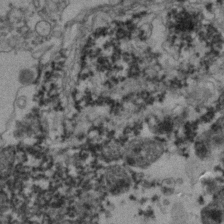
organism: Zebrafish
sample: Zebrafish embryo